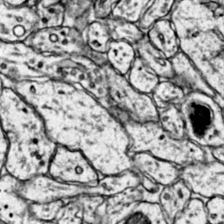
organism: Mouse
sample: Primary visual cortex